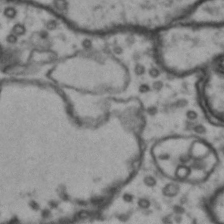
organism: Drosophila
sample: Brain